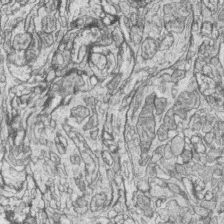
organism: Zebrafish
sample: synaptic ribbons in rod cells and cone cells